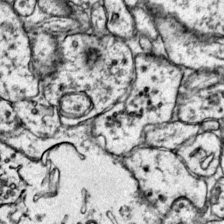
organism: Mouse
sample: Primary visual cortex